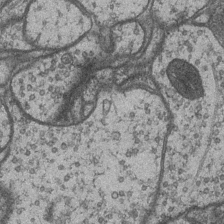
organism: Drosophila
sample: Optic medulla